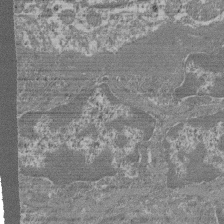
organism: Mouse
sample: Glomerulus